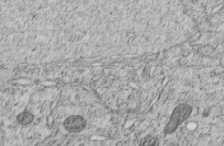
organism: C. elegans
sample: C. elegans embryo early stage